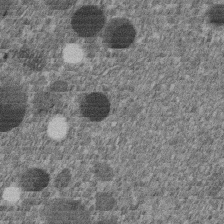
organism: C. elegans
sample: C. elegans embryo early stage